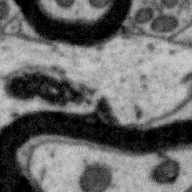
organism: Zebra finch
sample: Brain